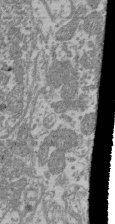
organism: Mouse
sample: Glomerulus